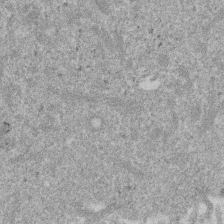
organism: Mouse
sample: Dividing mouse embryo 1 cell stage